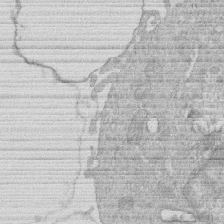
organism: Human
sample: Macrophage cells